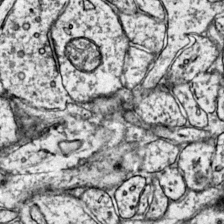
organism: Mouse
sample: Primary visual cortex